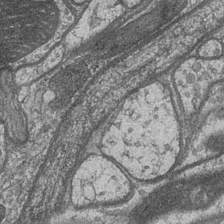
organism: Drosophila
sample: Optic medulla